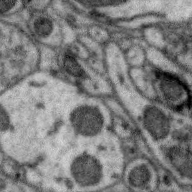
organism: Zebra finch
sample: Brain